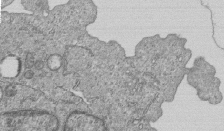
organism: Human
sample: MDA-MB-231 cells